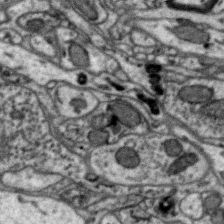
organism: Zebra finch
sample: Brain